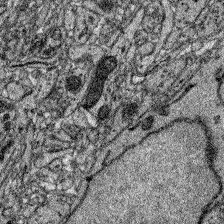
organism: Zebrafish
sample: Larval olfactory bulb